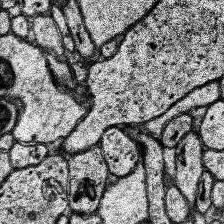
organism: Human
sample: Temporal Lobe